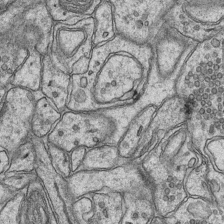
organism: Mouse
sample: CA1 Hippocampus